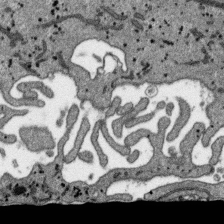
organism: Human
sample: Lung epithelial cells, uninfected (mock) control